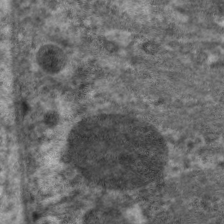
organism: C. elegans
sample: Pharynx